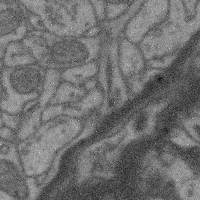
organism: Mouse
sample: Cerebral cortex